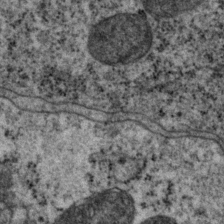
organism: P. pacificus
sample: Pharynx